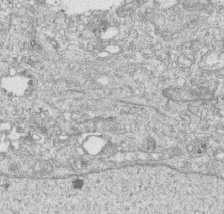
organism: Human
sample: HeLa cell HIV synapse